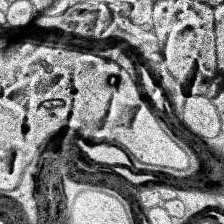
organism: Human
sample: Temporal Lobe